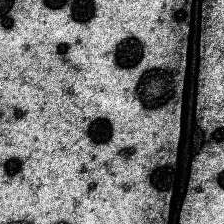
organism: Human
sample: Temporal Lobe